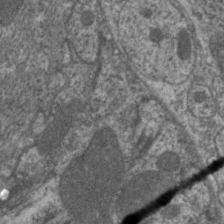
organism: C. elegans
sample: Pharynx